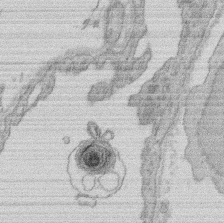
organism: Rat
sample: Salivary granule